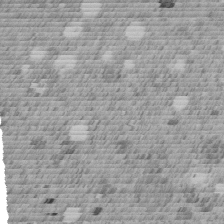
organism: C. elegans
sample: C. elegans embryo early stage